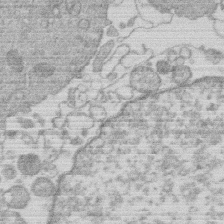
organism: Human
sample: Macrophage cells